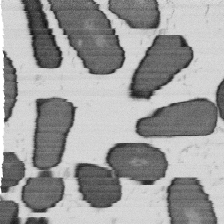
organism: B. subtilis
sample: Bacterial spore